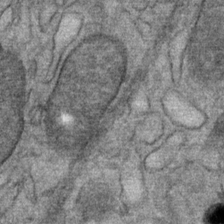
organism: Mouse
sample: Mouse Salivary gland